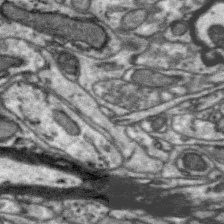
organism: Zebra finch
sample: Brain